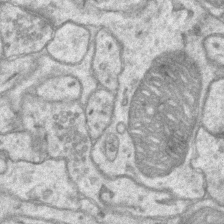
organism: Mouse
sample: CA1 Hippocampus